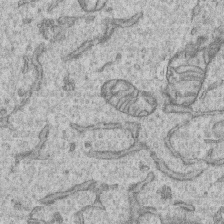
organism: Human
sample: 1205lu cells